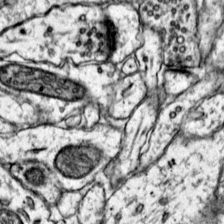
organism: Mouse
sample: Primary visual cortex